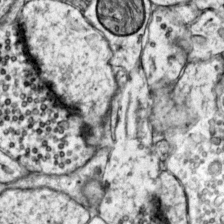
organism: Mouse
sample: Primary visual cortex